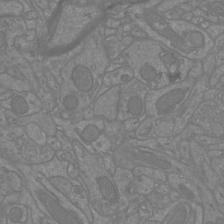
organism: Mouse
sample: Cortical neurons